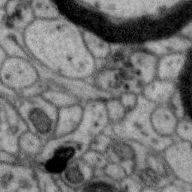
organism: Zebra finch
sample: Brain